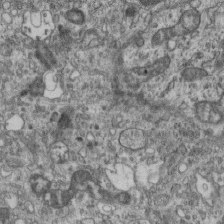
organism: Mouse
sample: Centriole in ependymal cells